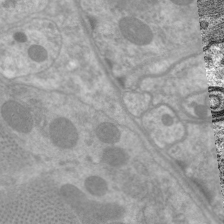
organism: C. elegans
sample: Pharynx